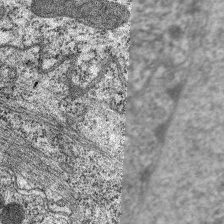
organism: C. elegans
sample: Pharynx